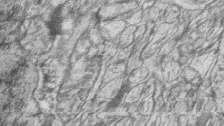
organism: Zebrafish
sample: synaptic ribbons in rod cells and cone cells